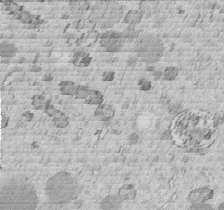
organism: C. elegans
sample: C. elegans embryo early stage